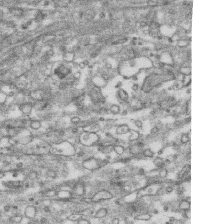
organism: Human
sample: CRL-1474